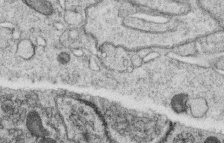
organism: C. elegans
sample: C. elegans oocyte; sperm cells